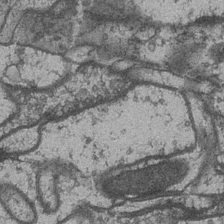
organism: Drosophila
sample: Optic medulla